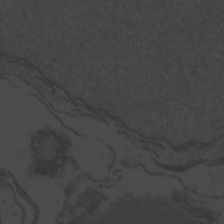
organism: Zebrafish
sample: Macrophage infected with Toxoplasma gondii